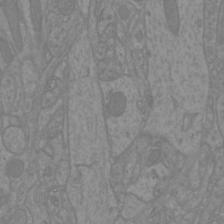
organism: Mouse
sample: Cortical neurons